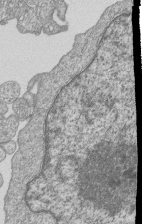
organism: Human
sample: MDA-MB-231 cells